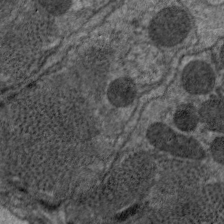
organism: C. elegans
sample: Pharynx